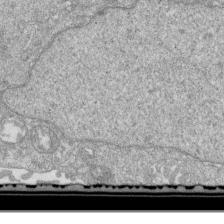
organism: Human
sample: HeLa cell HIV synapse